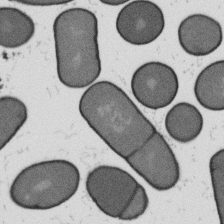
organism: B. subtilis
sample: Bacterial spore